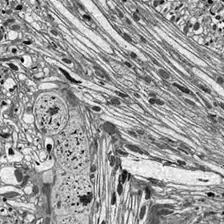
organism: Drosophila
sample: Optic lobe